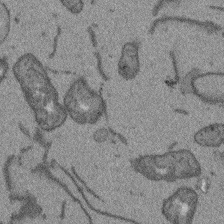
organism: Arabidopsis thaliana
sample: Root tip